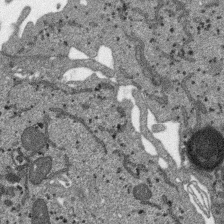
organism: Human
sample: Lung epithelial cells infected with SARS-CoV-2